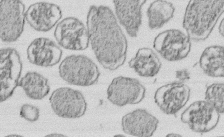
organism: E. coli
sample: Bacterial nucleoid